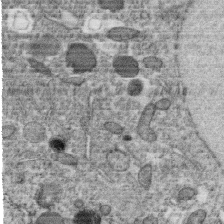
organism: C. elegans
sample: C. elegans oocyte; sperm cells